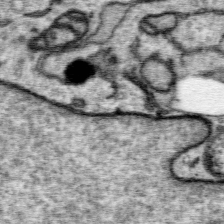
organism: Human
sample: HeLa cells